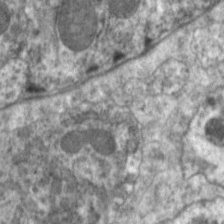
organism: C. elegans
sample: Pharynx